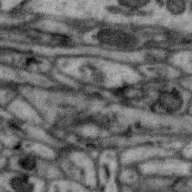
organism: Zebra finch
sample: Brain